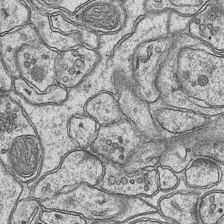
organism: Mouse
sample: CA1 Hippocampus